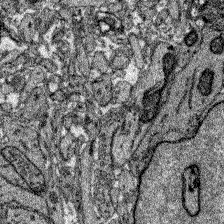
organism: Zebrafish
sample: Larval olfactory bulb